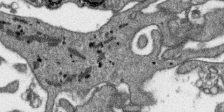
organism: Human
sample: Lung epithelial cells, uninfected (mock) control